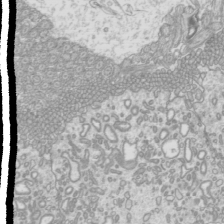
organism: Mouse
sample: Cilia; mouse epididymis